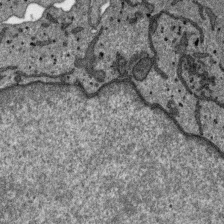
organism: Human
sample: Lung epithelial cells, uninfected (mock) control